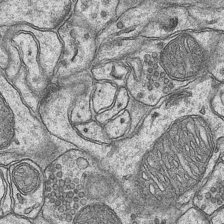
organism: Mouse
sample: CA1 Hippocampus